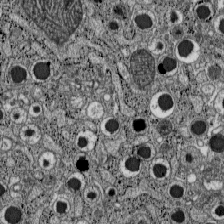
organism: C57BL Mouse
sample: Pancreatic islet